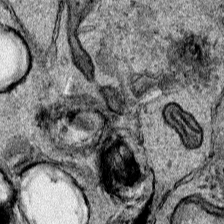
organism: Human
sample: Mitochondria in HCT116 cells